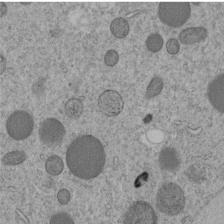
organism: C. elegans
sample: C. elegans embryo early stage